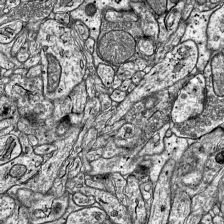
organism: Mouse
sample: Visual Cortex